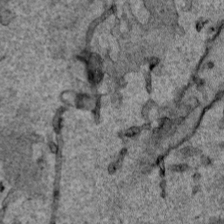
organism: Human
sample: Mitochondria in HCT116 cells